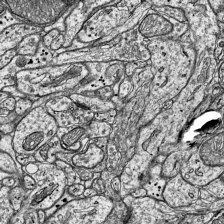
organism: Mouse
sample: Visual Cortex